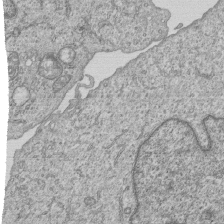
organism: Human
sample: MDA-MB-231 cells